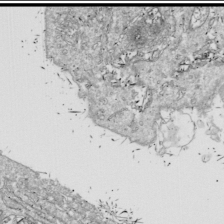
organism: Drosophila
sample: Cell division; meiosis; drosophila spermatocytes